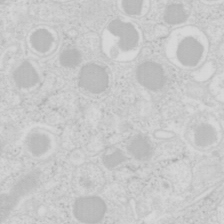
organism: Mouse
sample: Pancreas